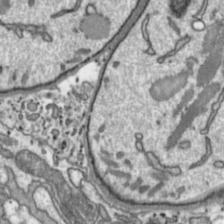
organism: Toxoplasma gondii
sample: Parasites in a vacuole inside a host cell